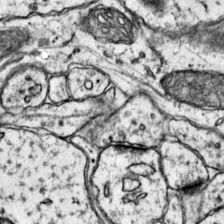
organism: Mouse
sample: Primary visual cortex